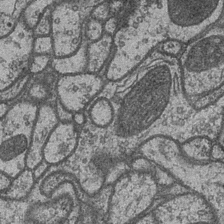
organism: Drosophila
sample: Optic medulla